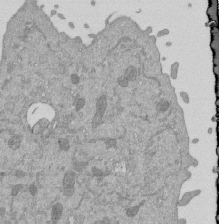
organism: Mouse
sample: ED-1 cell nuclei; centrioles